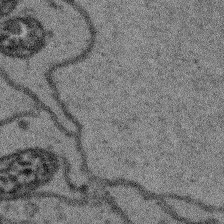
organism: Arabidopsis thaliana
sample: Root tip